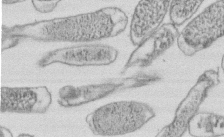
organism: E. coli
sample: Bacterial nucleoid